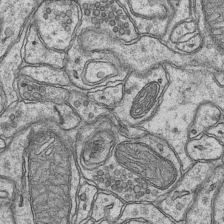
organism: Mouse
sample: CA1 Hippocampus